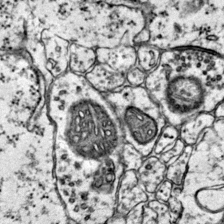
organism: Mouse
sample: Primary visual cortex